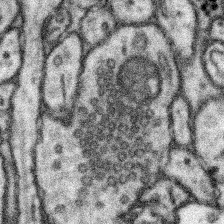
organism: Mouse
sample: Somatosensory cortex neuropil